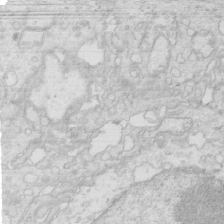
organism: Mouse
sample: Multiciliated cells